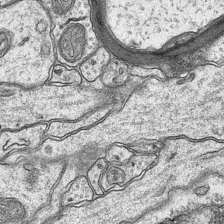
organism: Mouse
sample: CA1 Hippocampus